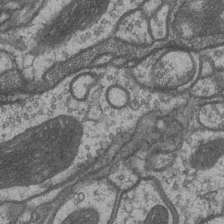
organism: Drosophila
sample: Optic medulla